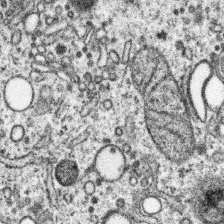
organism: Human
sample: HeLa cells